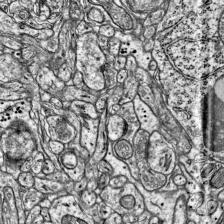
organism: Mouse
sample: Visual Cortex